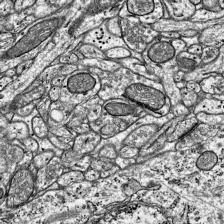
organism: Mouse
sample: Visual Cortex